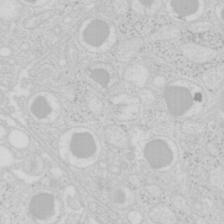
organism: Mouse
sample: Pancreas